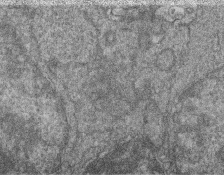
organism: Zebrafish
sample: Cilia; retinal pigment epithelium